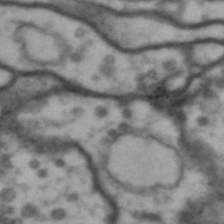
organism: Drosophila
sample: Brain